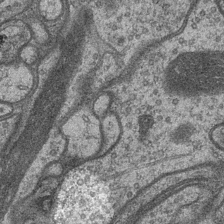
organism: Drosophila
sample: Optic medulla